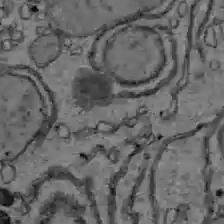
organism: C57BL Mouse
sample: Liver